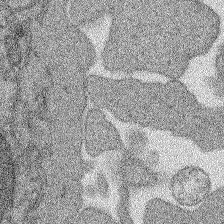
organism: Human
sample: HeLa cells